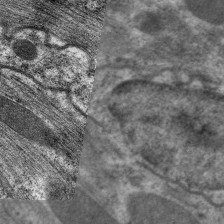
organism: C. elegans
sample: Pharynx